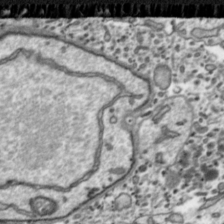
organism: Toxoplasma gondii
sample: Parasites in a vacuole inside a host cell